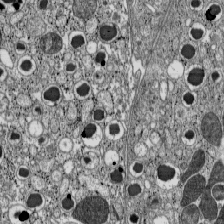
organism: C57BL Mouse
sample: Pancreatic islet